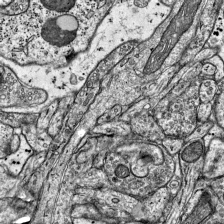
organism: Mouse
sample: Visual Cortex